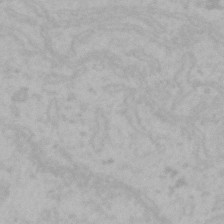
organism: Mouse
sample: Choroid plexus